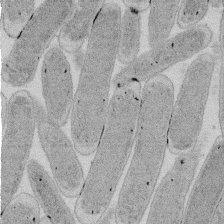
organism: E. coli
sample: Bacterial nucleoid